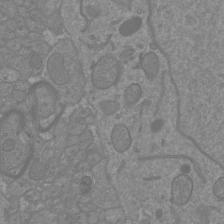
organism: Mouse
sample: Cortical neurons